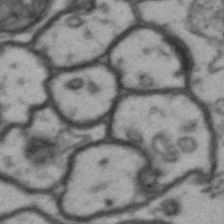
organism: Drosophila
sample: Brain